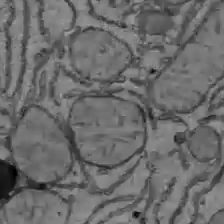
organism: C57BL Mouse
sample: Liver